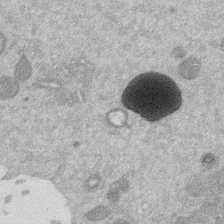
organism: Mouse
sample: Dividing mouse embryo 1 cell stage